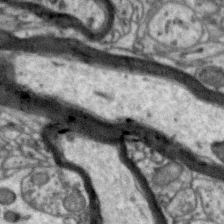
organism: Zebra finch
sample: Brain